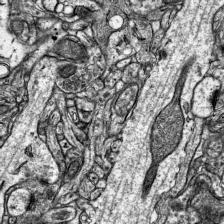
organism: Mouse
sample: Visual Cortex